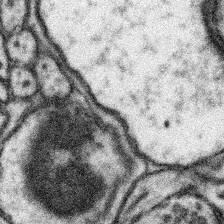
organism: Mouse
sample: Somatosensory cortex neuropil